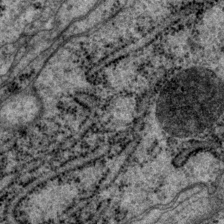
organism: P. pacificus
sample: Pharynx